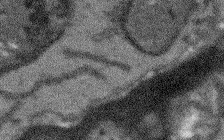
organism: Arabidopsis thaliana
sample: Root tip